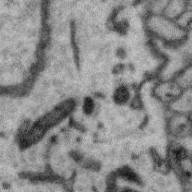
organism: Zebra finch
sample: Brain